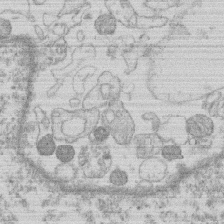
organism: Human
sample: Macrophage cells